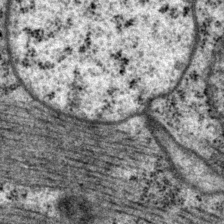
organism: P. pacificus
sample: Pharynx